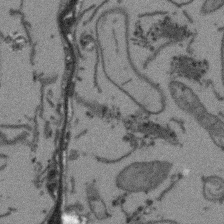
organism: Arabidopsis thaliana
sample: Root tip